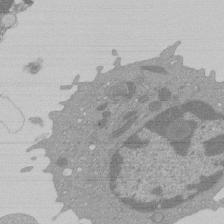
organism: Mouse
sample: Activated Pmel transgenic CD8+ T Cells